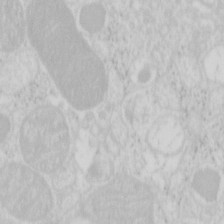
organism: Mouse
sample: Pancreas